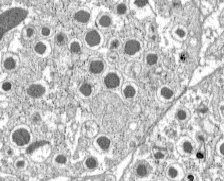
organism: C57BL Mouse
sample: Pancreatic islet